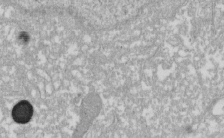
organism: Xenopus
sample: Cilia; centrioles in frog embryo cells